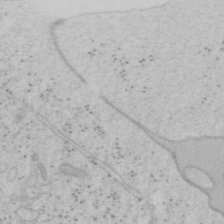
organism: Human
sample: HeLa cells